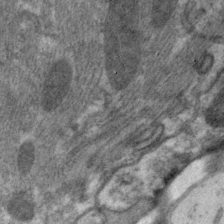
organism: C. elegans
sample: Pharynx